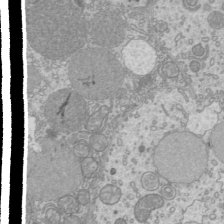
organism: Mouse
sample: Cilia; mouse epididymis